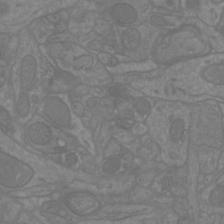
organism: Mouse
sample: Cortical neurons